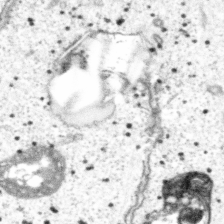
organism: Human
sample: HeLa cells